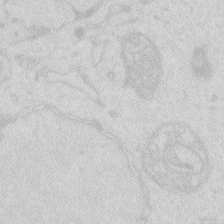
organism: Zebrafish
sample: Macrophage